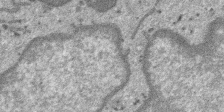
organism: Human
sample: Lung epithelial cells infected with SARS-CoV-2